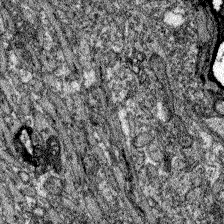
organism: Zebrafish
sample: Larval olfactory bulb